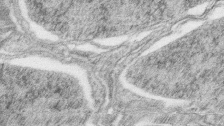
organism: Zebrafish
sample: synaptic ribbons in rod cells and cone cells